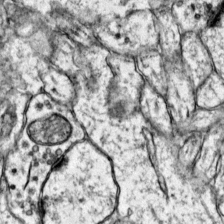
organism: Mouse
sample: Primary visual cortex